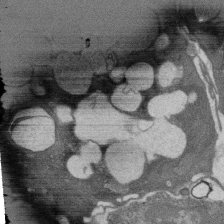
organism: Rat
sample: Salivary granule